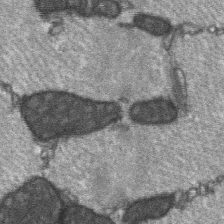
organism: C57BL Mouse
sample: Soleus